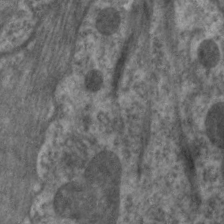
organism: C. elegans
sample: Pharynx